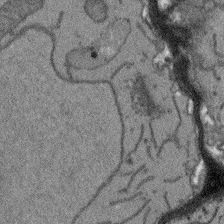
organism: Arabidopsis thaliana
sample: Root tip